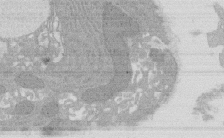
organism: Rat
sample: Salivary granule